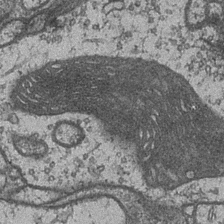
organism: Drosophila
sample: Optic medulla